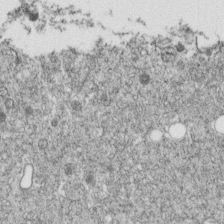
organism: C. elegans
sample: C. elegans embryo early stage